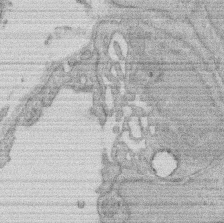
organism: Rat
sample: Salivary granule